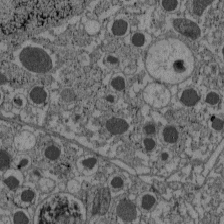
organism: C57BL Mouse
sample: Pancreatic islet